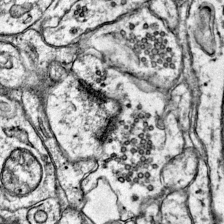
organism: Mouse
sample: Primary visual cortex